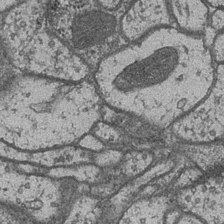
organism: Drosophila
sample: Optic medulla